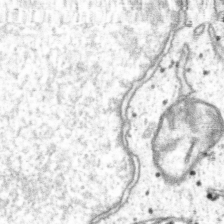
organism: Human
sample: HeLa cells